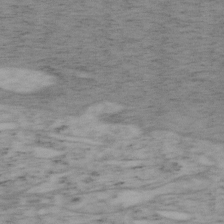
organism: Mouse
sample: OT-I killer T cells with ID8 ovarian cancer cells